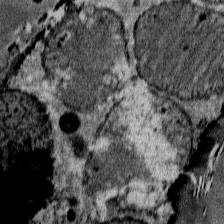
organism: Mouse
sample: Mouse Salivary gland